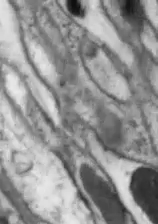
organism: Drosophila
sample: Optic lobe